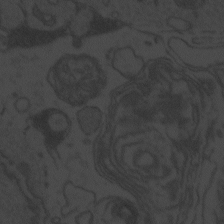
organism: Zebrafish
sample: Macrophage infected with Toxoplasma gondii